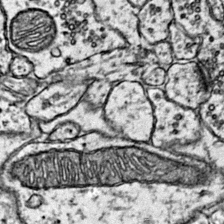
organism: Mouse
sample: Primary visual cortex